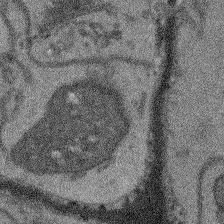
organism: Arabidopsis thaliana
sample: Root tip